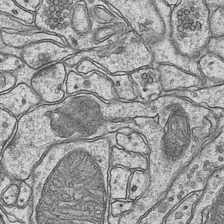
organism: Mouse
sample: CA1 Hippocampus